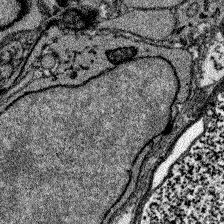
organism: Zebrafish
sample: Larval olfactory bulb